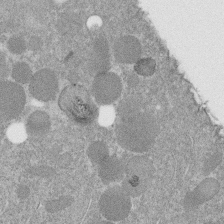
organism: C. elegans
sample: C. elegans embryo early stage